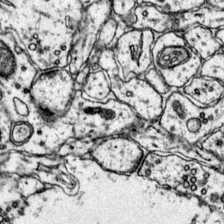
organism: Mouse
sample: Primary visual cortex